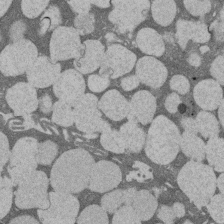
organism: Rat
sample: Salivary granule